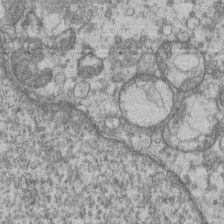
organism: Mouse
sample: T cell stromal cell synapse